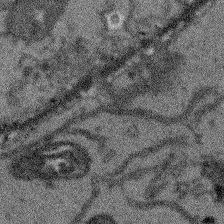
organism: Arabidopsis thaliana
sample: Root tip